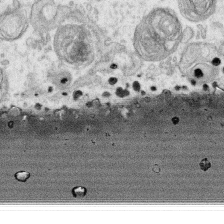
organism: Human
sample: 1205lu cells